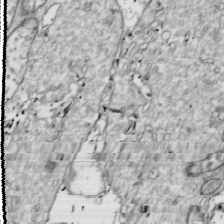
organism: Drosophila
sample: Cell division; meiosis; drosophila spermatocytes